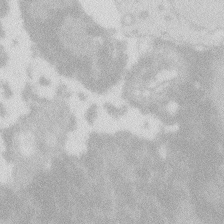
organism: Zebrafish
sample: Macrophage